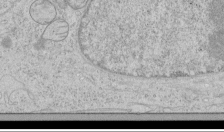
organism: Human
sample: Mitochondria in HCT116 cells